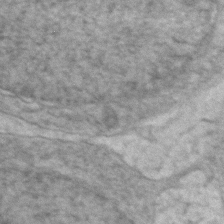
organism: Zebrafish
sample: Zebrafish embryo